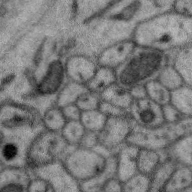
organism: Zebra finch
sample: Brain